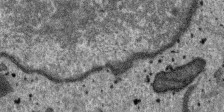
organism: Human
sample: Lung epithelial cells, uninfected (mock) control